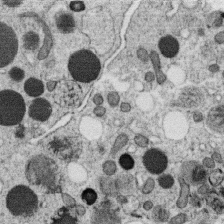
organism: C. elegans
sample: C. elegans oocyte; sperm cells